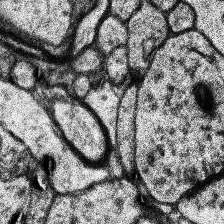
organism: Human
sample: Temporal Lobe